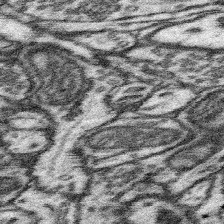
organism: Mouse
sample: Somatosensory cortex neuropil